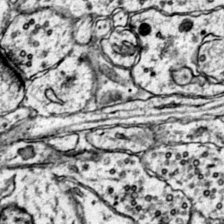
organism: Mouse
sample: Primary visual cortex